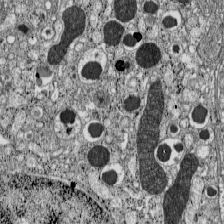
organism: C57BL Mouse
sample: Pancreatic islet